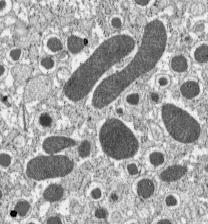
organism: C57BL Mouse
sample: Pancreatic islet